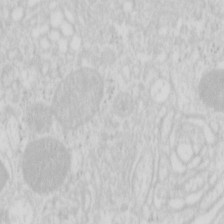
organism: Mouse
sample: Pancreas